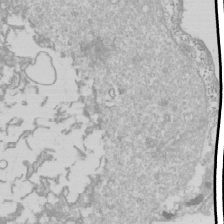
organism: Drosophila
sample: Cell division; meiosis; drosophila spermatocytes